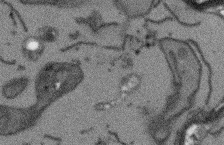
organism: Arabidopsis thaliana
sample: Root tip